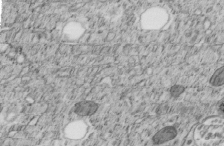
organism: C. elegans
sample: C. elegans embryo early stage